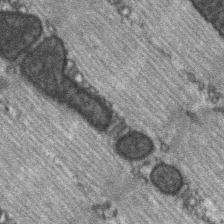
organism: C57BL Mouse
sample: Soleus